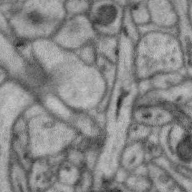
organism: Zebra finch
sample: Brain